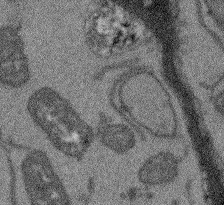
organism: Arabidopsis thaliana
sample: Root tip